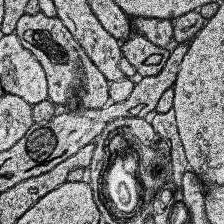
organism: Human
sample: Temporal Lobe